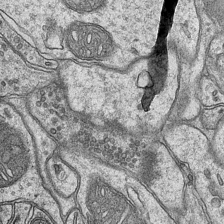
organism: Mouse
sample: CA1 Hippocampus